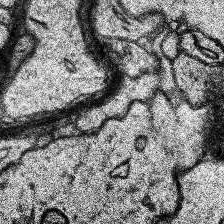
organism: Human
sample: Temporal Lobe